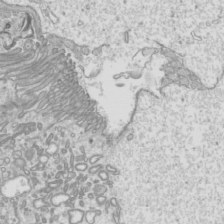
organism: Mouse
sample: Cilia; mouse epididymis